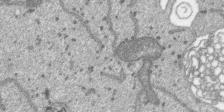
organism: Human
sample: Lung epithelial cells infected with SARS-CoV-2